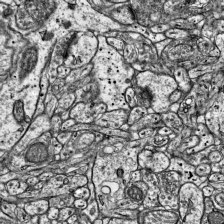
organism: Mouse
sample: Visual Cortex